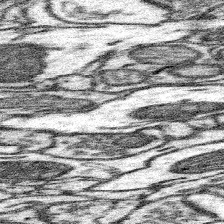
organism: Mouse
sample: Somatosensory cortex neuropil